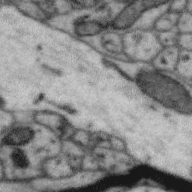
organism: Zebra finch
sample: Brain